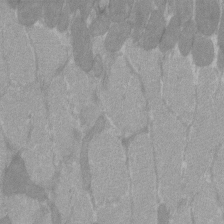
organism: C57BL Mouse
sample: Tibialis anterior muscle cell